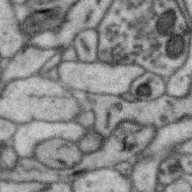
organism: Zebra finch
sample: Brain